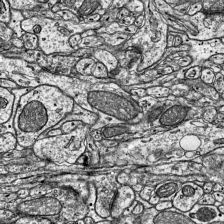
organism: Mouse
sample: Visual Cortex